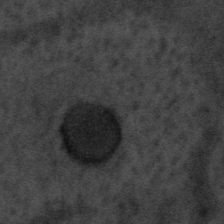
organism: Tuwongella immobilis